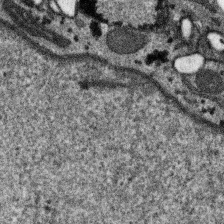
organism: Human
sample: Lung epithelial cells infected with SARS-CoV-2